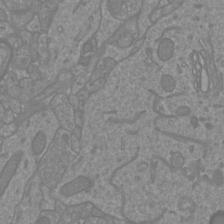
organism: Mouse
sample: Cortical neurons